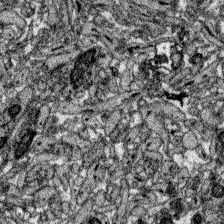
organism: Zebrafish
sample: Larval olfactory bulb